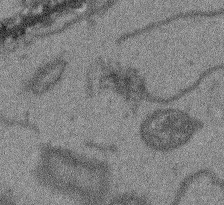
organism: Arabidopsis thaliana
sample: Root tip